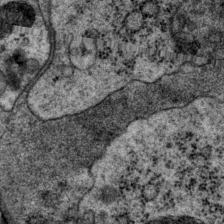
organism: P. pacificus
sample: Pharynx